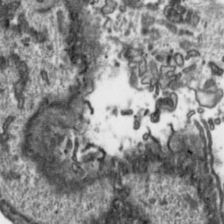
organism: Toxoplasma gondii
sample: Parasites in a vacuole inside a host cell